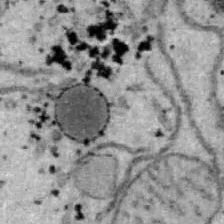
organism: Mouse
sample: Liver from an obese (ob/ob) mouse